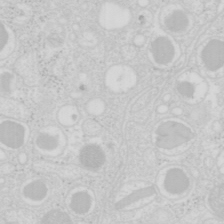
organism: Mouse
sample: Pancreas